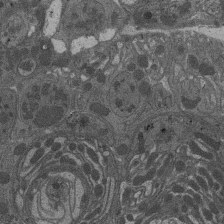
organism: Drosophila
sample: Antenna